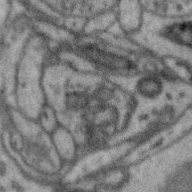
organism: Zebra finch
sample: Brain